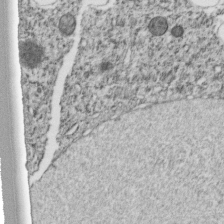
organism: C. elegans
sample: C. elegans embryo early stage